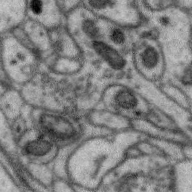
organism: Zebra finch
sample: Brain